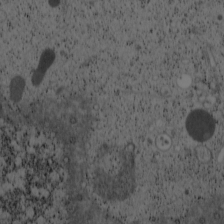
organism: African green monkey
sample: COS-7 cells